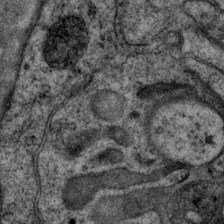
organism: P. pacificus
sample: Pharynx